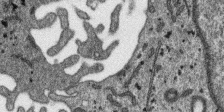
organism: Human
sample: Lung epithelial cells infected with SARS-CoV-2